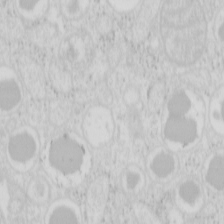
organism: Mouse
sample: Pancreas